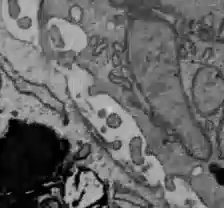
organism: C57BL Mouse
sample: Liver